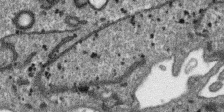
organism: Human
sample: Lung epithelial cells infected with SARS-CoV-2